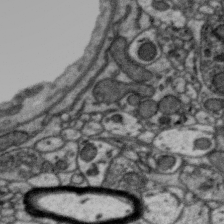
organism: Zebra finch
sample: Brain